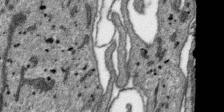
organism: Human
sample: Lung epithelial cells, uninfected (mock) control